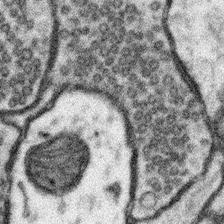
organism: Mouse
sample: Somatosensory cortex neuropil